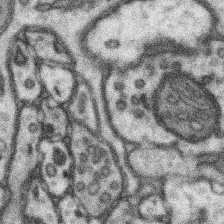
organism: Mouse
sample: Somatosensory cortex neuropil